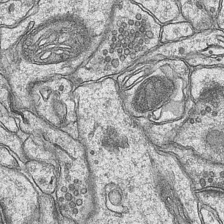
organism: Mouse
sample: CA1 Hippocampus